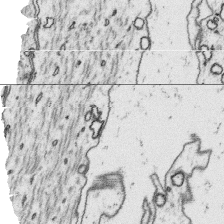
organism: Platynereis dumerilii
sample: Parapodia